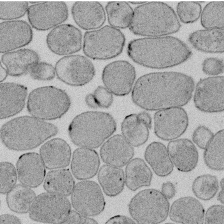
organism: E. coli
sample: Bacterial nucleoid